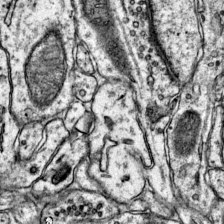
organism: Mouse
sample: Primary visual cortex